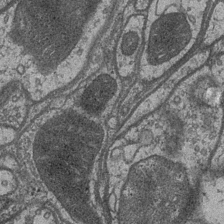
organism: Drosophila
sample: Optic medulla